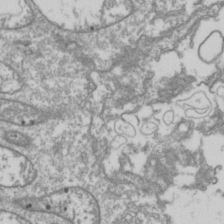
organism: Drosophila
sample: Cell division; meiosis; drosophila spermatocytes